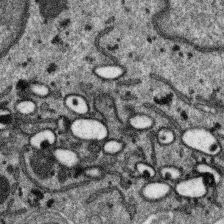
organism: Human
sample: Lung epithelial cells infected with SARS-CoV-2